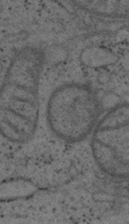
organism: Human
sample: HeLa cells